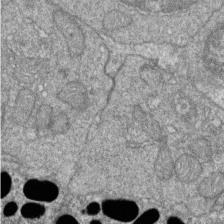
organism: Zebrafish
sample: Cilia; retinal pigment epithelium